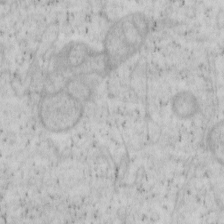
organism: Human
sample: HeLa cells